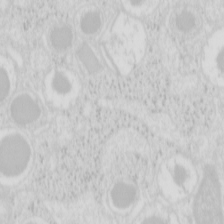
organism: Mouse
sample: Pancreas